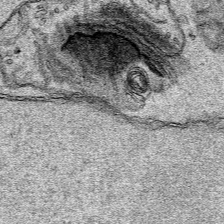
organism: Human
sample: Mitochondria in HCT116 cells